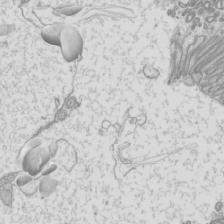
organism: Mouse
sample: Cilia; mouse epididymis